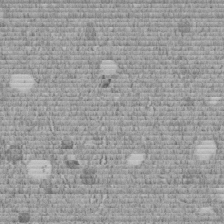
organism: C. elegans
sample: C. elegans embryo early stage